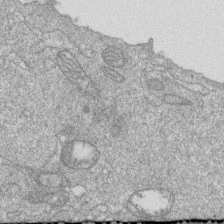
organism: Human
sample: HeLa cell HIV synapse